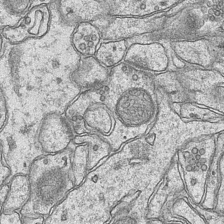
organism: Mouse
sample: CA1 Hippocampus